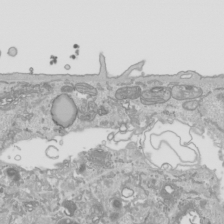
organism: Human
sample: Mitochondria in HCT116 cells